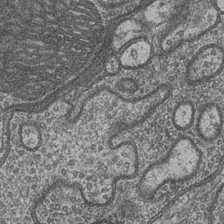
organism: Drosophila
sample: Optic medulla